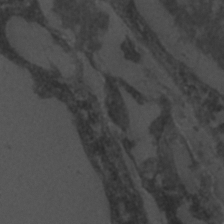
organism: C. elegans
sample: C. elegans embryo